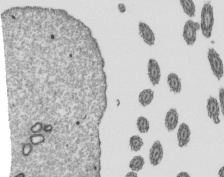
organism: Mouse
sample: Mouse epididymis efferent ductule cilia